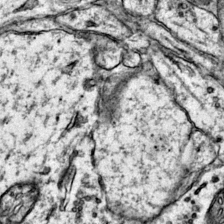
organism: Mouse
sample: Primary visual cortex